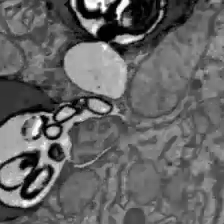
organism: C57BL Mouse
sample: Liver